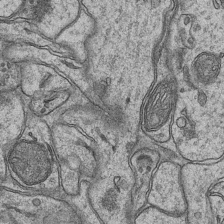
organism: Mouse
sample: CA1 Hippocampus